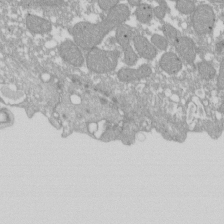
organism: Xenopus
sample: Cilia; centrioles in frog embryo cells